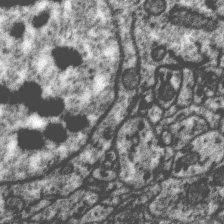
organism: Zebra finch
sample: Brain